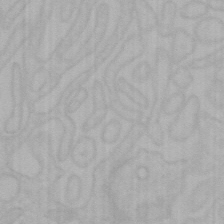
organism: Mouse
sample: Choroid plexus